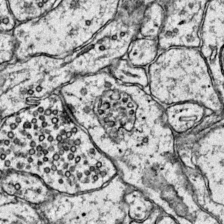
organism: Mouse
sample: Primary visual cortex